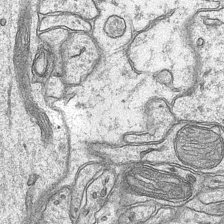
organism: Mouse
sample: CA1 Hippocampus